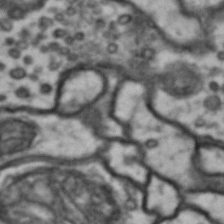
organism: Drosophila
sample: Brain